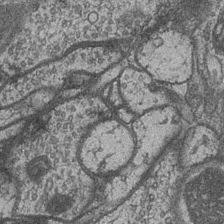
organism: Drosophila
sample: Optic medulla